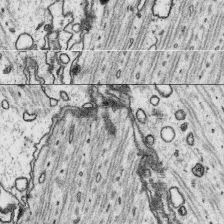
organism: Platynereis dumerilii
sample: Parapodia